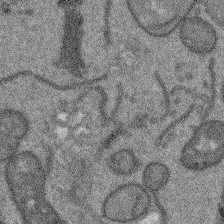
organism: Arabidopsis thaliana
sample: Root tip